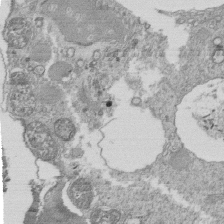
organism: Tetrahymena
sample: Cilia in tetrahymena